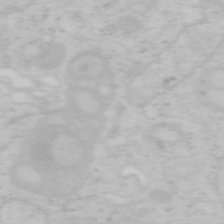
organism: Mouse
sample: OT-I killer T cells with ID8 ovarian cancer cells